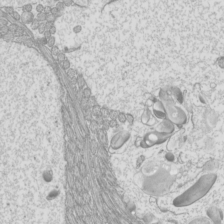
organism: Mouse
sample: Cilia; mouse epididymis